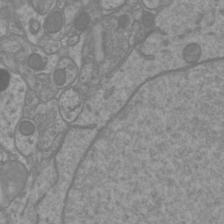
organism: Mouse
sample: Cortical neurons